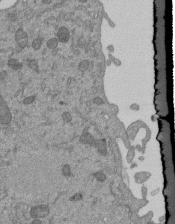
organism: Mouse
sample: ED-1 cell nuclei; centrioles